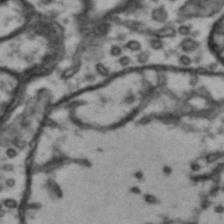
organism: Drosophila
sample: Brain